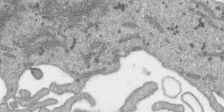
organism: Human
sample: Lung epithelial cells infected with SARS-CoV-2